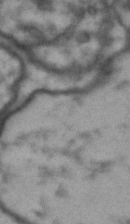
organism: Drosophila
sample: Brain